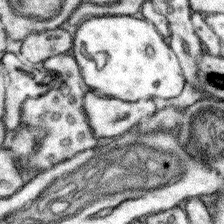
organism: Mouse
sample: Somatosensory cortex neuropil